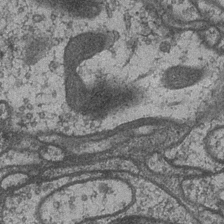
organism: Drosophila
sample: Optic medulla